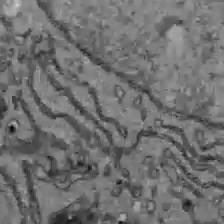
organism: C57BL Mouse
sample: Liver